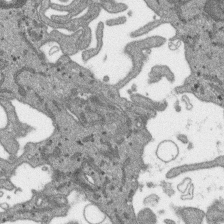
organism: Human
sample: Lung epithelial cells infected with SARS-CoV-2